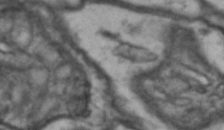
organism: Drosophila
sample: Brain